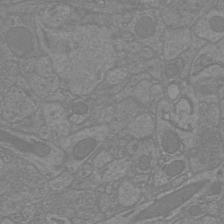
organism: Mouse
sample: Cortical neurons